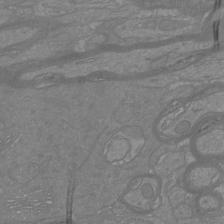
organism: Mouse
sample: Cortical neurons